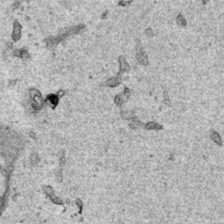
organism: Human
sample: Mitochondria in HCT116 cells